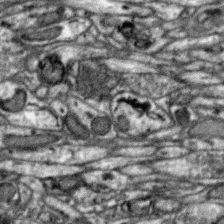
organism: Zebra finch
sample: Brain